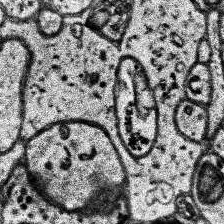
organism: Human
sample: Temporal Lobe